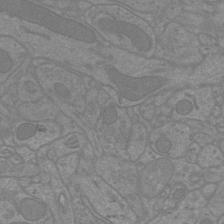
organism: Mouse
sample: Cortical neurons